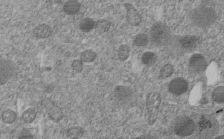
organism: C. elegans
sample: C. elegans embryo early stage